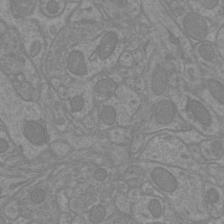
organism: Mouse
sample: Cortical neurons